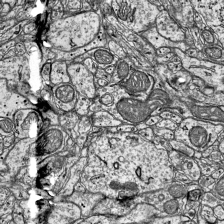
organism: Mouse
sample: Visual Cortex